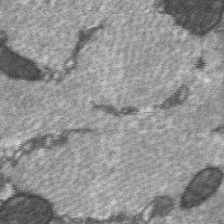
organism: C57BL Mouse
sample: Soleus